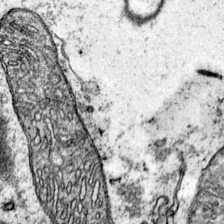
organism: Mouse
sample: Primary visual cortex